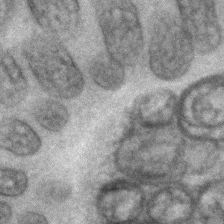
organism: C. elegans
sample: C. elegans embryo